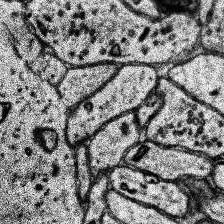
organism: Human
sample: Temporal Lobe